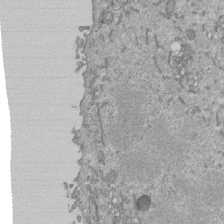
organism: Mouse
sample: ED-1 cell nuclei; centrioles